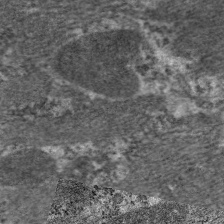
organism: C. elegans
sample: Pharynx